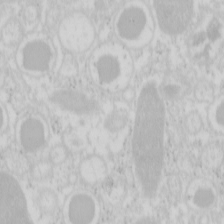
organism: Mouse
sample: Pancreas